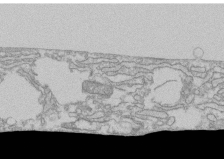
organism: Human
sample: CRL-1474